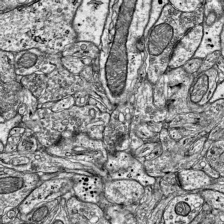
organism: Mouse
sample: Visual Cortex